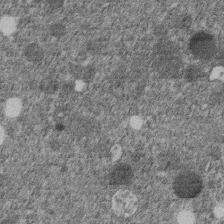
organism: C. elegans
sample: C. elegans embryo early stage